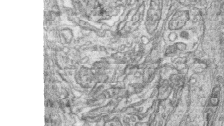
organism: Zebrafish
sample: synaptic ribbons in rod cells and cone cells